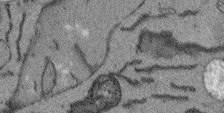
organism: Arabidopsis thaliana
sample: Root tip